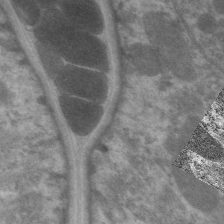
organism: C. elegans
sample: Pharynx